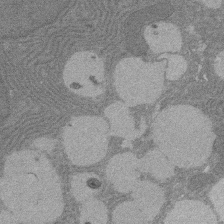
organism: Rat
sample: Salivary granule